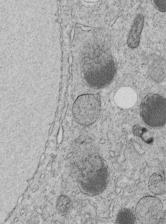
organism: C. elegans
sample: C. elegans embryo early stage